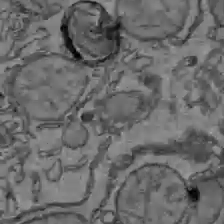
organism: C57BL Mouse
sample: Liver